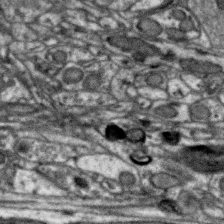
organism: Zebra finch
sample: Brain